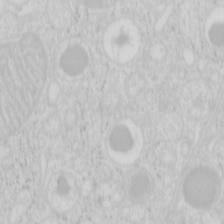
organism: Mouse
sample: Pancreas